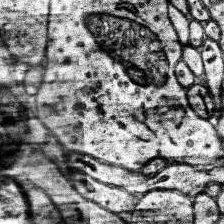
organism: Human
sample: Temporal Lobe